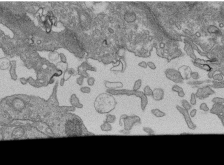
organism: Human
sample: Retinal organoid Rod and Cone cells